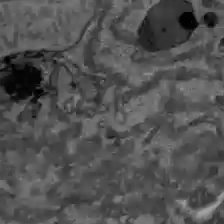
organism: C57BL Mouse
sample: Liver